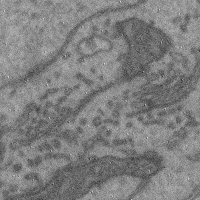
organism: Mouse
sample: Cerebral cortex